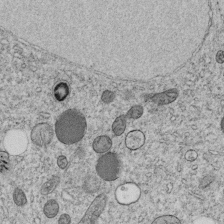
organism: C. elegans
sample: C. elegans embryo early stage